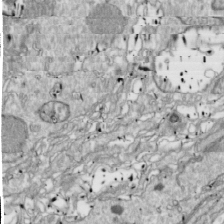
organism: Drosophila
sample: Cell division; meiosis; drosophila spermatocytes